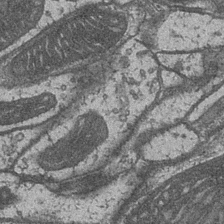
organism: Drosophila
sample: Optic medulla